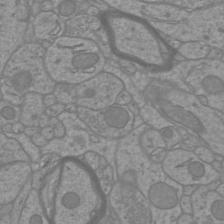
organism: Mouse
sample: Cortical neurons